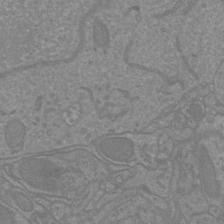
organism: Mouse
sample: Cortical neurons